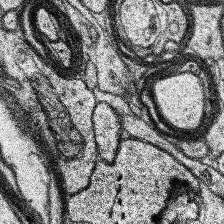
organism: Human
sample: Temporal Lobe